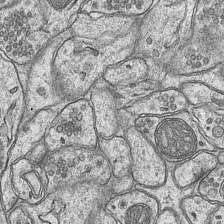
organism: Mouse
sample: CA1 Hippocampus